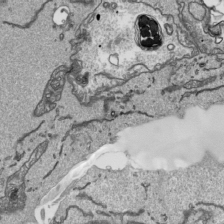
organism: Human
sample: Mitochondria in HCT116 cells